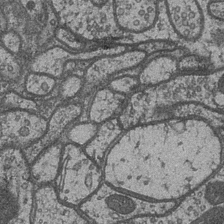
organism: Drosophila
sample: Optic medulla